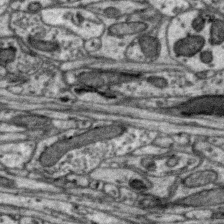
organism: Zebra finch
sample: Brain